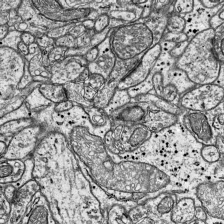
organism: Mouse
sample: Visual Cortex